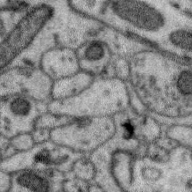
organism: Zebra finch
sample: Brain